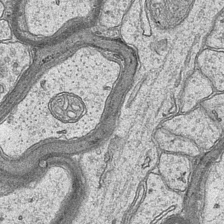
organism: Mouse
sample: CA1 Hippocampus